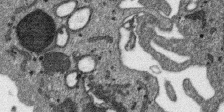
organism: Human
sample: Lung epithelial cells infected with SARS-CoV-2